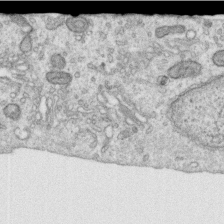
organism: Human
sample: Centriole in RPE cells